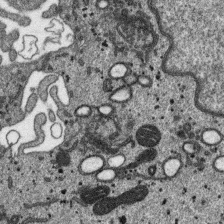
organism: Human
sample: Lung epithelial cells infected with SARS-CoV-2